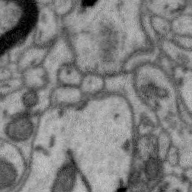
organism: Zebra finch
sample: Brain